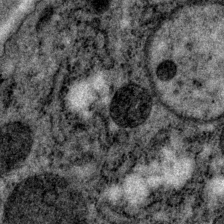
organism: P. pacificus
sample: Pharynx